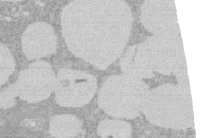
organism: Rat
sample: Salivary granule